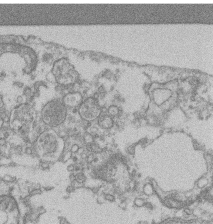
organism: Mouse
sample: T cell stromal cell synapse